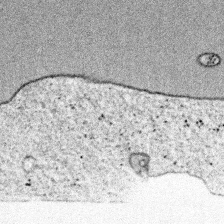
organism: Human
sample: HeLa cells